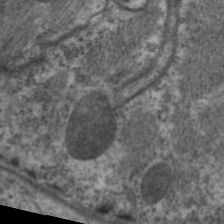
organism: C. elegans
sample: Pharynx